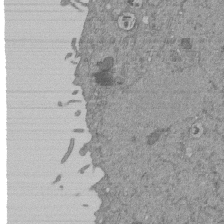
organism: Mouse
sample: ED-1 cell nuclei; centrioles